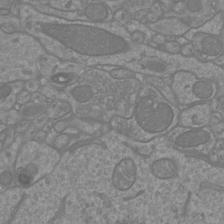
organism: Mouse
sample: Cortical neurons